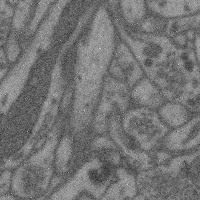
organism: Mouse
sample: Cerebral cortex